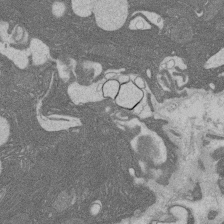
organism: Rat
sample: Salivary granule